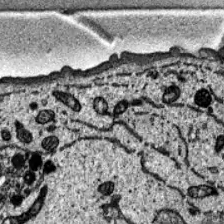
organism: Human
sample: HeLa cells